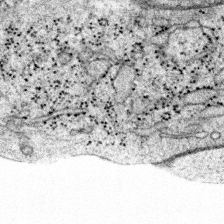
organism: Human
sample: HeLa cells